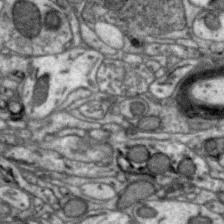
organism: Zebra finch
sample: Brain